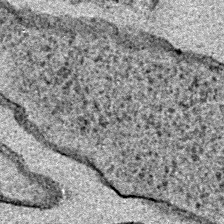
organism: E. coli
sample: E. Coli Bacteria